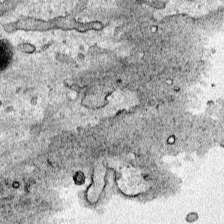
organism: Human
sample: Mitochondria in HCT116 cells